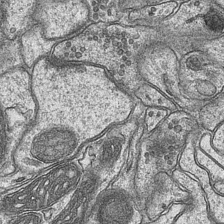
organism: Mouse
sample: CA1 Hippocampus